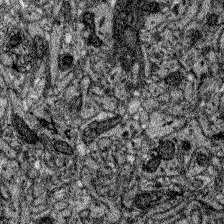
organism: Zebrafish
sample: Larval olfactory bulb